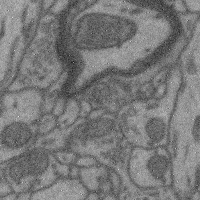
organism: Mouse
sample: Cerebral cortex